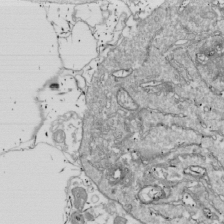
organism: Drosophila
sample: Cell division; meiosis; drosophila spermatocytes